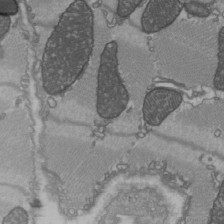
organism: C57BL Mouse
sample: Heart